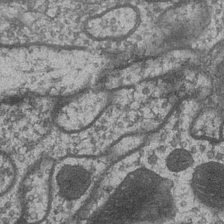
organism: Drosophila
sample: Optic medulla